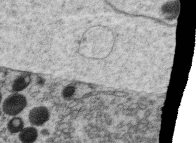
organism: C. elegans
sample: C. elegans oocyte; sperm cells